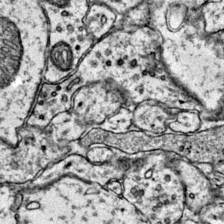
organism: Mouse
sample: Primary visual cortex